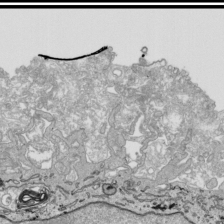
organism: Human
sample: Mitochondria in HCT116 cells